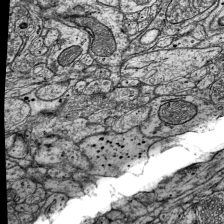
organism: Mouse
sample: Visual Cortex